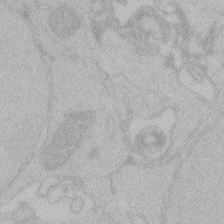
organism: Zebrafish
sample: Macrophage infected with Toxoplasma gondii